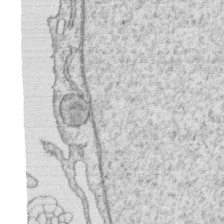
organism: Human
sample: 1205lu cells